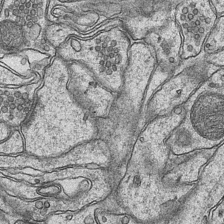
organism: Mouse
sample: CA1 Hippocampus